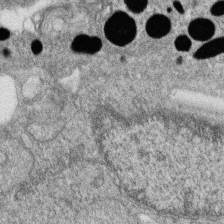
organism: Zebrafish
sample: Cilia; retinal pigment epithelium